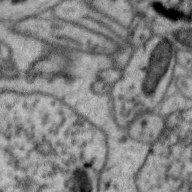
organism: Zebra finch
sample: Brain